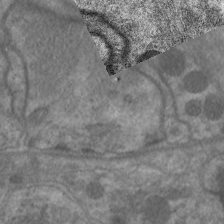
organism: C. elegans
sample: Pharynx